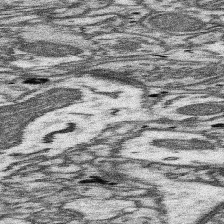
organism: Mouse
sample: Somatosensory cortex neuropil